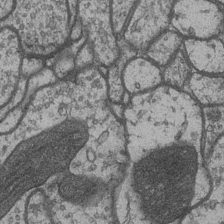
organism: Drosophila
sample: Optic medulla